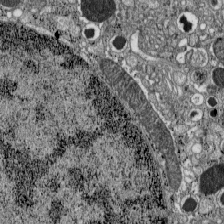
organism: C57BL Mouse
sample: Pancreatic islet